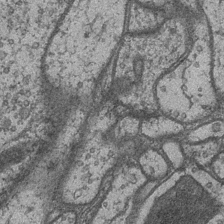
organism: Drosophila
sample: Optic medulla